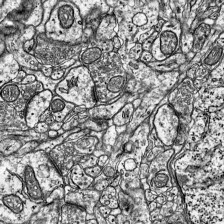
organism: Mouse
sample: Visual Cortex